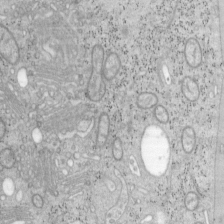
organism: Mouse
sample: OT-I killer T cells with ID8 ovarian cancer cells